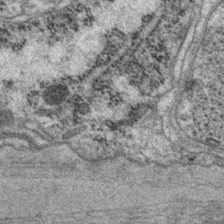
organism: P. pacificus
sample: Pharynx